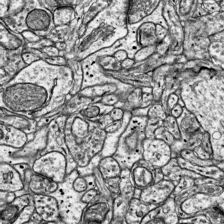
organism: Mouse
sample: Visual Cortex